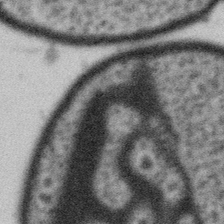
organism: Gemmata obscuriglobus